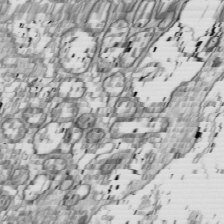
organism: Drosophila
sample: Cell division; meiosis; drosophila spermatocytes